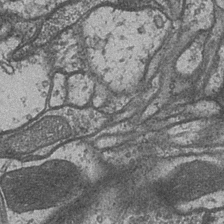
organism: Drosophila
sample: Optic medulla